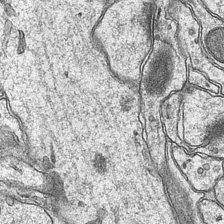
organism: Mouse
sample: CA1 Hippocampus